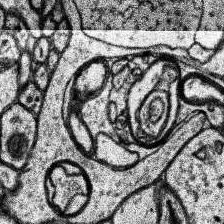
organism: Human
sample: Temporal Lobe